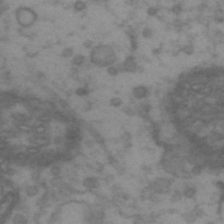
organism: Drosophila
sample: Brain